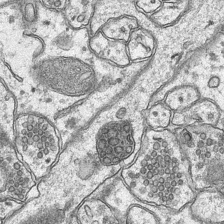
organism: Mouse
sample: CA1 Hippocampus